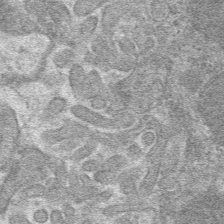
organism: Mouse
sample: Mouse hepatocytes